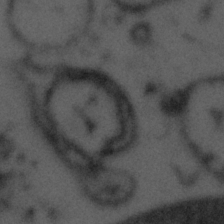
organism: Tuwongella immobilis